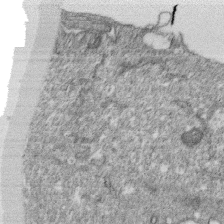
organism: African green monkey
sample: Vero E6 cells infected with SARS-CoV-2